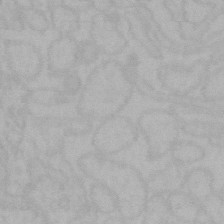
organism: Mouse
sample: Choroid plexus